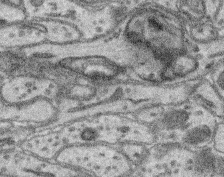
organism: Mouse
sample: Retina